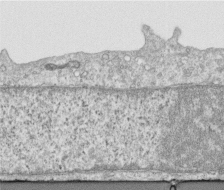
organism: Human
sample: Centriole in RPE cells